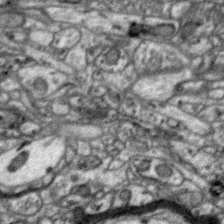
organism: Zebra finch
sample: Brain